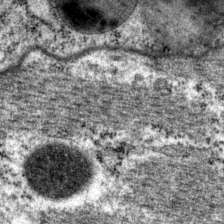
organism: P. pacificus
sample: Pharynx